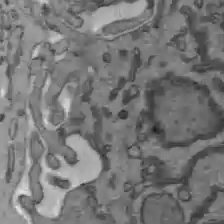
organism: C57BL Mouse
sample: Liver